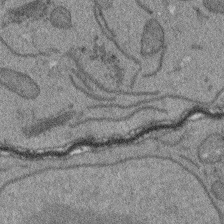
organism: Arabidopsis thaliana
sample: Root tip